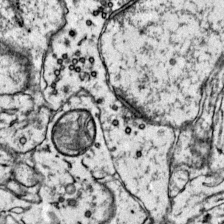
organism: Mouse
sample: Primary visual cortex